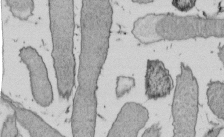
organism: E. coli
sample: Bacterial nucleoid